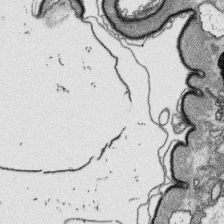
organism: Platynereis dumerilii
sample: Parapodia